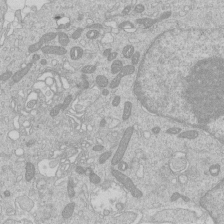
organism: Human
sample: Macrophage cells